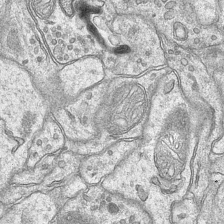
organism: Mouse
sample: CA1 Hippocampus